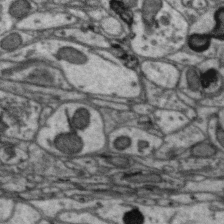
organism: Zebra finch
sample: Brain